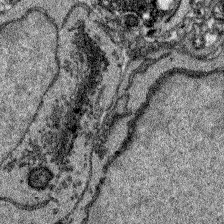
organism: Zebrafish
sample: Larval olfactory bulb